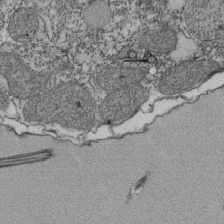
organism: Tetrahymena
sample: Cilia in tetrahymena